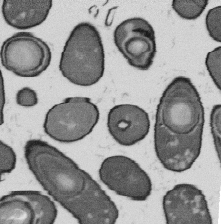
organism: B. subtilis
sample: Bacterial spore